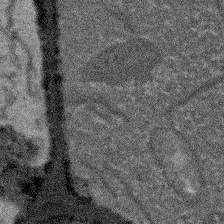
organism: Arabidopsis thaliana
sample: Root tip